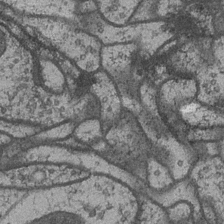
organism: Drosophila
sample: Optic medulla